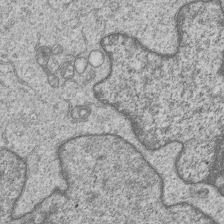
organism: Human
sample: MDA-MB-231 cells